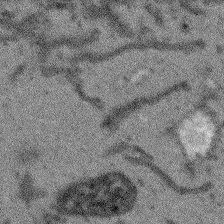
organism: Arabidopsis thaliana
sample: Root tip